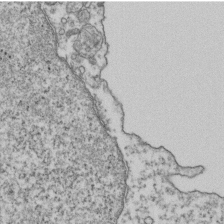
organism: Human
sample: Activated Jurkat CD4+ T cells